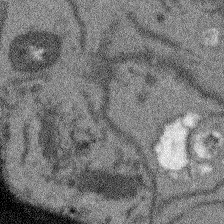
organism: Arabidopsis thaliana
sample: Root tip